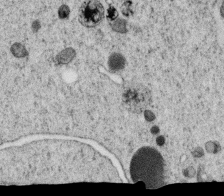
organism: C. elegans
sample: C. elegans oocyte; sperm cells